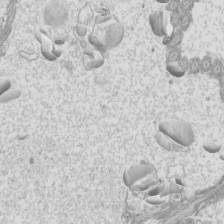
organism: Mouse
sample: Cilia; mouse epididymis